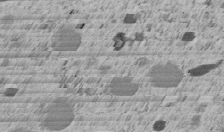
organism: C. elegans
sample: C. elegans embryo early stage